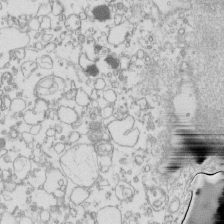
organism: Mouse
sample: Macrophages